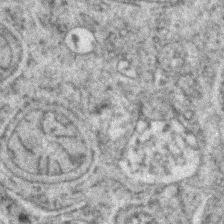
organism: Zebrafish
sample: Zebrafish embryo